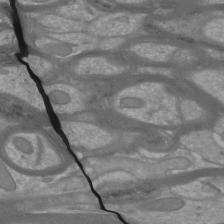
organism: Mouse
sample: Cortical neurons